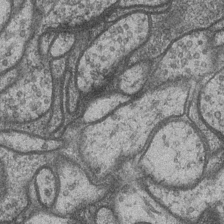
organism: Drosophila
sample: Optic medulla